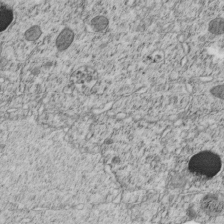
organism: C. elegans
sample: C. elegans embryo early stage